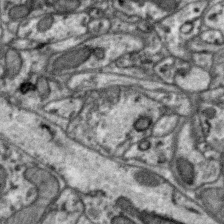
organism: Zebra finch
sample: Brain